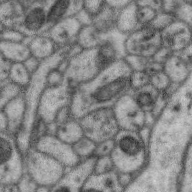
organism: Zebra finch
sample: Brain